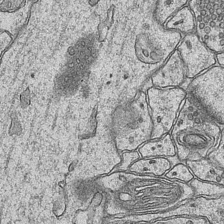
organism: Mouse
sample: CA1 Hippocampus